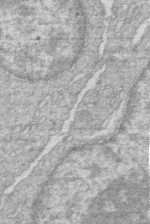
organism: Human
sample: Macrophage cells